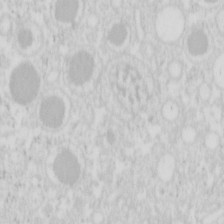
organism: Mouse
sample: Pancreas